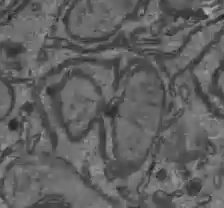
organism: C57BL Mouse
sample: Liver